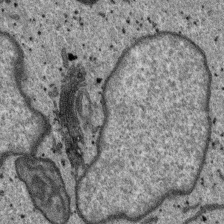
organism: Human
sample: Lung epithelial cells, uninfected (mock) control